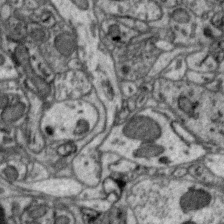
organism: Zebra finch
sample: Brain